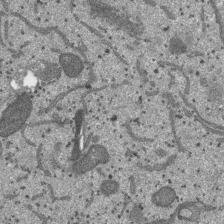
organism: Human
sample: Lung epithelial cells infected with SARS-CoV-2